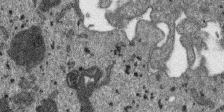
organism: Human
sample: Lung epithelial cells infected with SARS-CoV-2